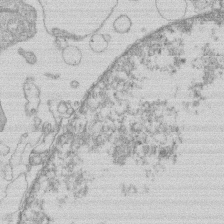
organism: Human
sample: Macrophage cells